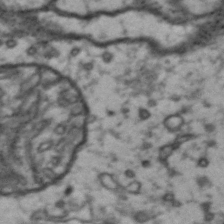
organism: Drosophila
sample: Brain